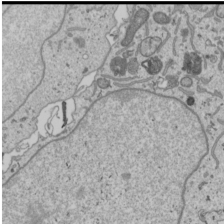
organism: Human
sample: Mitochondria in U2OS cells